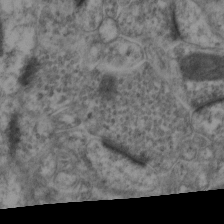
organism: Mouse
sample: Neocortex